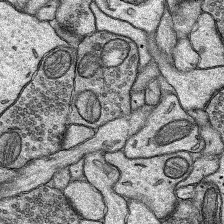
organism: Rat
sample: Hippocampus